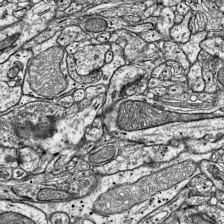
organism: Mouse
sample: Visual Cortex